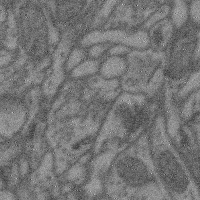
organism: Mouse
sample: Cerebral cortex